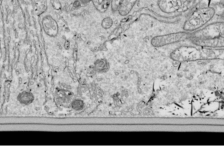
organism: Drosophila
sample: Cell division; meiosis; drosophila spermatocytes